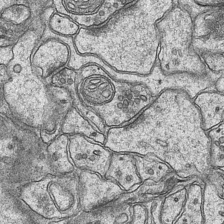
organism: Mouse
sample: CA1 Hippocampus